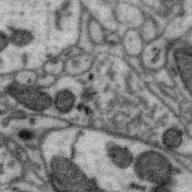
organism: Zebra finch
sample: Brain